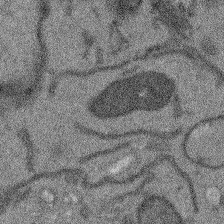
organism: Arabidopsis thaliana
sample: Root tip